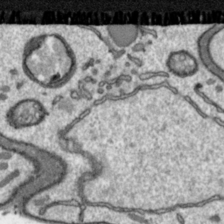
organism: Toxoplasma gondii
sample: Parasites in a vacuole inside a host cell